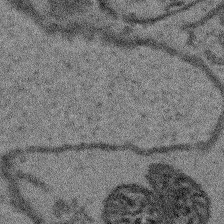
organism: Arabidopsis thaliana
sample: Root tip